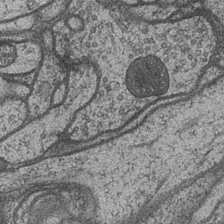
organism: Drosophila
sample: Optic medulla